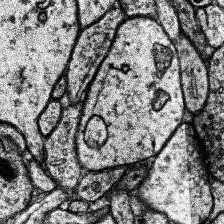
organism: Human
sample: Temporal Lobe